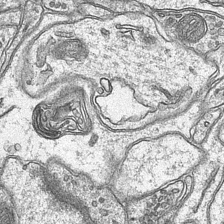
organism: Mouse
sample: CA1 Hippocampus